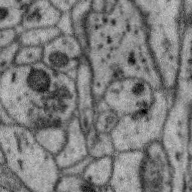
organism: Zebra finch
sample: Brain